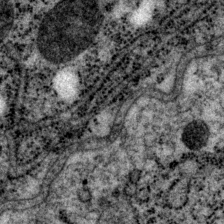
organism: P. pacificus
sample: Pharynx